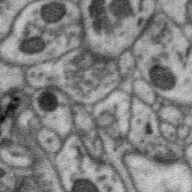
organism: Zebra finch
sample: Brain